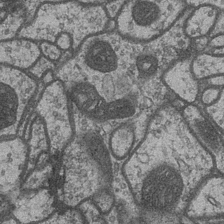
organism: Drosophila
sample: Optic medulla